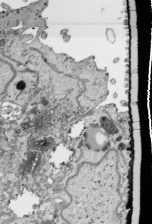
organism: Human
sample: Mitochondria in HCT116 cells